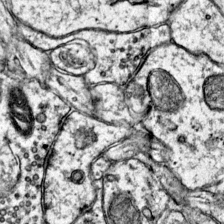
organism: Mouse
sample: Primary visual cortex